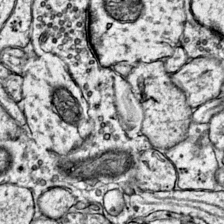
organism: Mouse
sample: Primary visual cortex